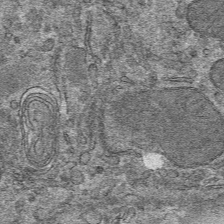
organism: Mouse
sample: Mouse hepatocytes